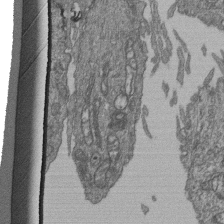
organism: Human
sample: Retinal organoid Rod and Cone cells